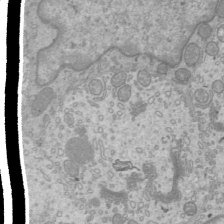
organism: Mouse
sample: Cilia; mouse epididymis